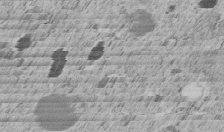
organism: C. elegans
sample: C. elegans embryo early stage